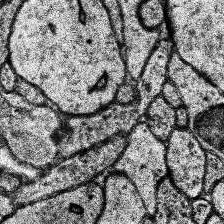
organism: Human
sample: Temporal Lobe